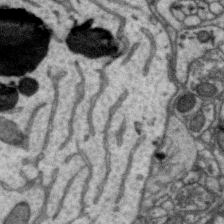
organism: Zebra finch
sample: Brain